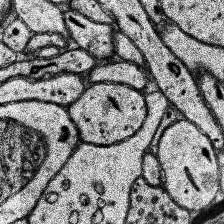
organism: Human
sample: Temporal Lobe